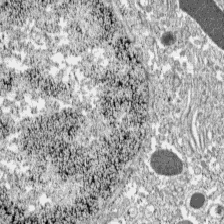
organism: C57BL Mouse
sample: Pancreatic islet